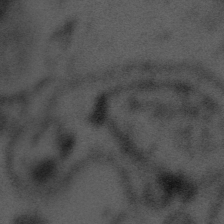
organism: Tuwongella immobilis